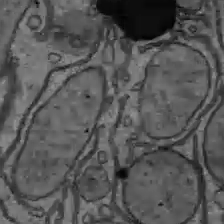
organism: C57BL Mouse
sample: Liver